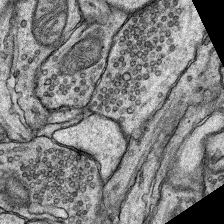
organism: Rat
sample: Hippocampus